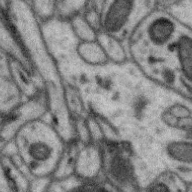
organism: Zebra finch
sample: Brain